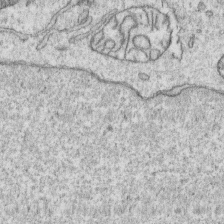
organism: Human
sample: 1205lu cells